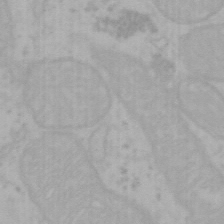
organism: Mouse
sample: Choroid plexus